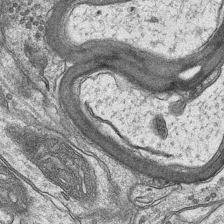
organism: Mouse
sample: CA1 Hippocampus